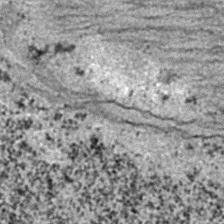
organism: C. elegans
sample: C. elegans embryo